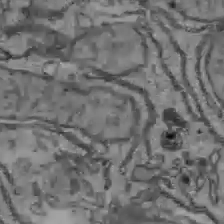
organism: C57BL Mouse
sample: Liver